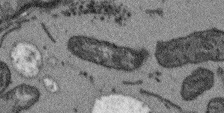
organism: Arabidopsis thaliana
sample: Root tip